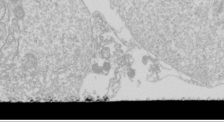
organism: Drosophila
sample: Cell division; meiosis; drosophila spermatocytes